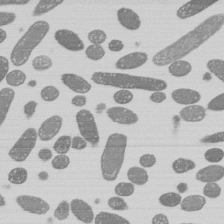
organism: E. coli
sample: Bacterial nucleoid